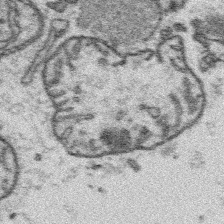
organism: Platynereis dumerilii